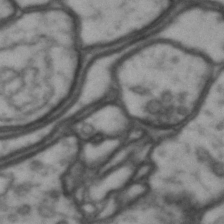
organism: Drosophila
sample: Brain